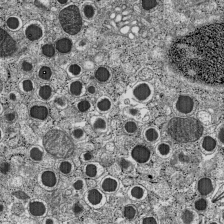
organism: C57BL Mouse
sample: Pancreatic islet